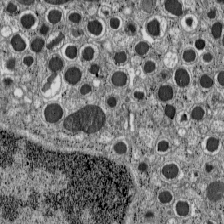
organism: C57BL Mouse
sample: Pancreatic islet